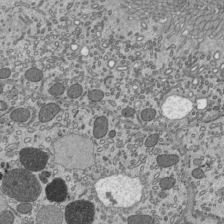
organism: Mouse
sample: Mouse epididymis efferent ductule cilia